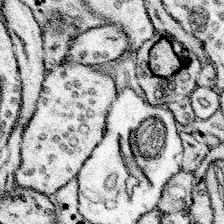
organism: Mouse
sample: Somatosensory cortex neuropil